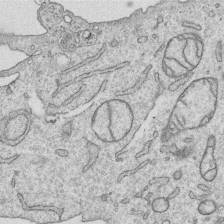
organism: Human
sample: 1205lu cells